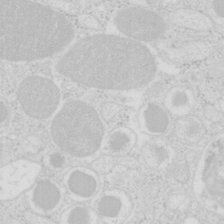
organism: Mouse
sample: Pancreas